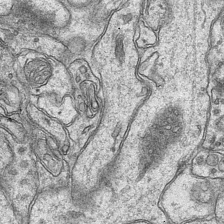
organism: Mouse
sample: CA1 Hippocampus